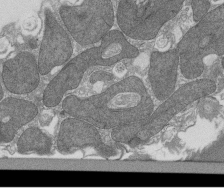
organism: Tetrahymena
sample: Cilia in tetrahymena